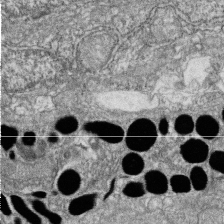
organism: Zebrafish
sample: Cilia; retinal pigment epithelium